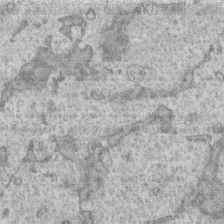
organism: Human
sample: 1205lu cells